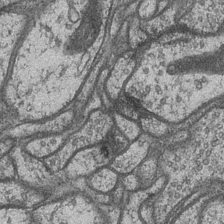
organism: Drosophila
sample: Optic medulla